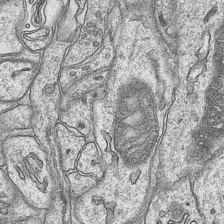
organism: Mouse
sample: CA1 Hippocampus